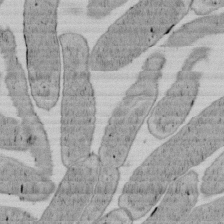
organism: E. coli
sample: Bacterial nucleoid